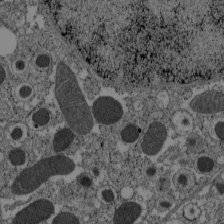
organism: C57BL Mouse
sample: Pancreatic islet